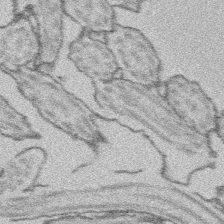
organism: Platynereis dumerilii